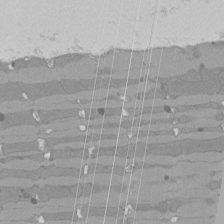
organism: Rat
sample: Left ventricle